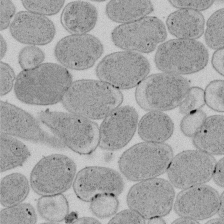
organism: E. coli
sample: Bacterial nucleoid